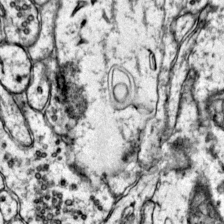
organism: Mouse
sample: Primary visual cortex